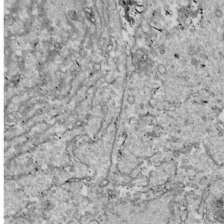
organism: Drosophila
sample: Cell division; meiosis; drosophila spermatocytes